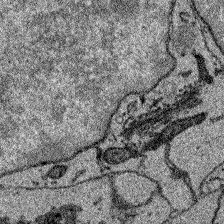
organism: Zebrafish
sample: Larval olfactory bulb